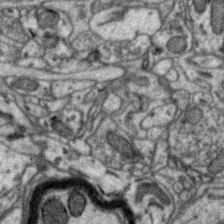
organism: Zebra finch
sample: Brain